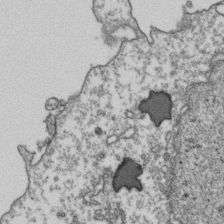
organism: Human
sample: Activated Jurkat CD4+ T cells